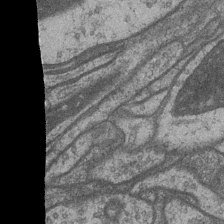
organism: Drosophila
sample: Optic medulla